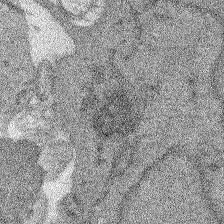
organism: Human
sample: HeLa cells